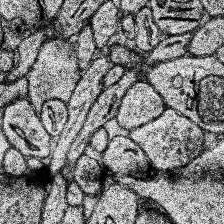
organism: Human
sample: Temporal Lobe